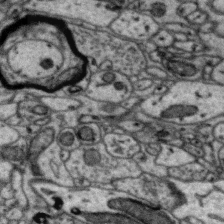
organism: Zebra finch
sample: Brain